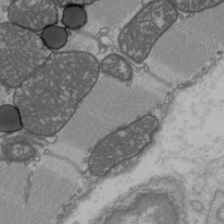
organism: C57BL Mouse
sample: Heart